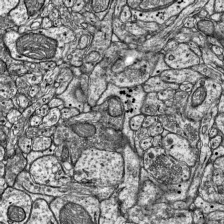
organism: Mouse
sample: Visual Cortex